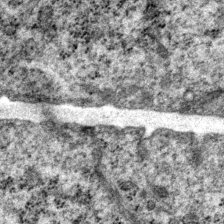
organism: P. pacificus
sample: Pharynx